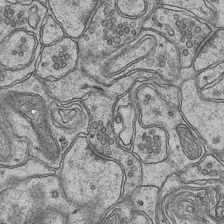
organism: Mouse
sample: CA1 Hippocampus